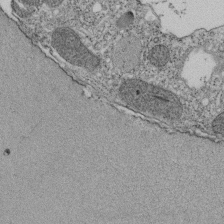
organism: Tetrahymena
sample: Cilia in tetrahymena